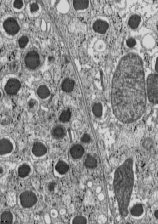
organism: C57BL Mouse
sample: Pancreatic islet